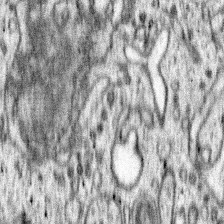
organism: Human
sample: HeLa cells